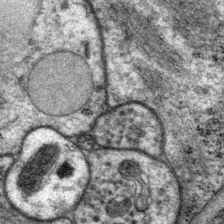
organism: P. pacificus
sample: Pharynx